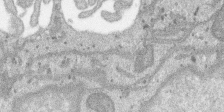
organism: Human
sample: Lung epithelial cells infected with SARS-CoV-2